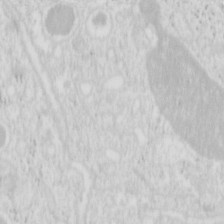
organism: Mouse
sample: Pancreas